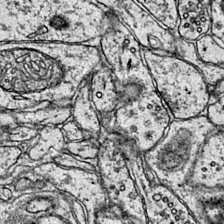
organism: Mouse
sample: Primary visual cortex